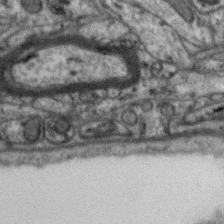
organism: Zebra finch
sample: Brain